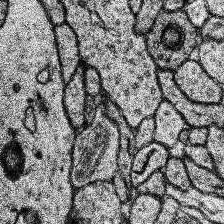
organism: Human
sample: Temporal Lobe